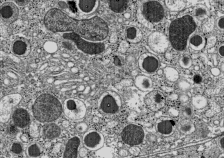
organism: C57BL Mouse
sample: Pancreatic islet